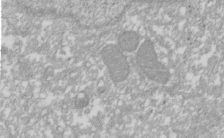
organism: Xenopus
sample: Cilia; centrioles in frog embryo cells